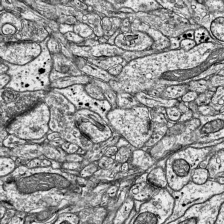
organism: Mouse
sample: Visual Cortex